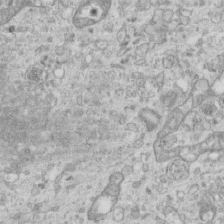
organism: Mouse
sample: Centriole in ependymal cells